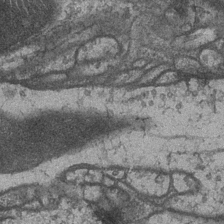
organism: Drosophila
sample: Optic medulla